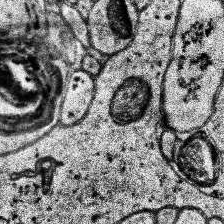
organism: Human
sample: Temporal Lobe